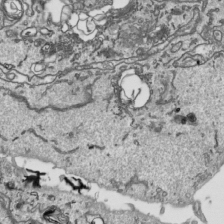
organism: Human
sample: Mitochondria in HCT116 cells